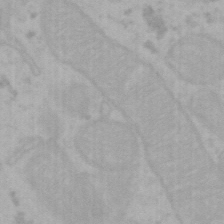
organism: Mouse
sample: Choroid plexus